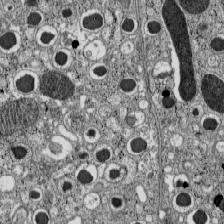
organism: C57BL Mouse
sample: Pancreatic islet